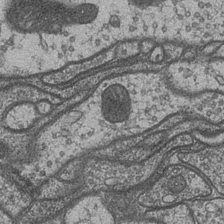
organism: Drosophila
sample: Optic medulla